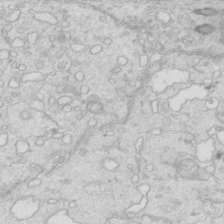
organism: Mouse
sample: Multiciliated cells